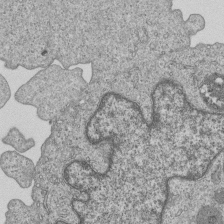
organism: Human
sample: MDA-MB-231 cells